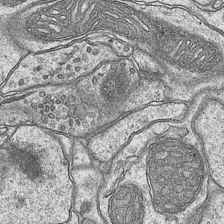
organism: Mouse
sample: CA1 Hippocampus